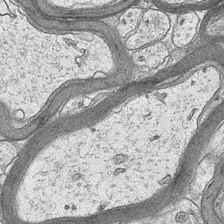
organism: Mouse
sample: CA1 Hippocampus